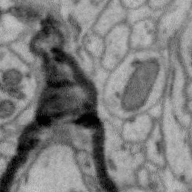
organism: Zebra finch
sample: Brain